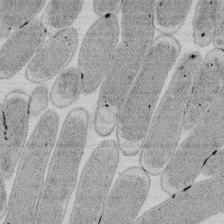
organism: E. coli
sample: Bacterial nucleoid